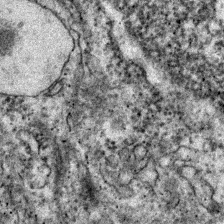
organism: Zebrafish